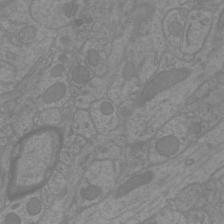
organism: Mouse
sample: Cortical neurons